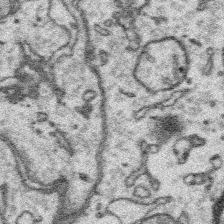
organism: Platynereis dumerilii